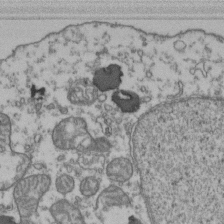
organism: Human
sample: Activated Jurkat CD4+ T cells